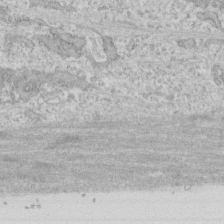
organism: Human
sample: CRL-1474